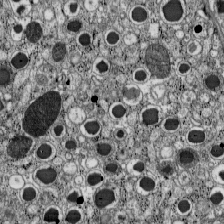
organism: C57BL Mouse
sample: Pancreatic islet